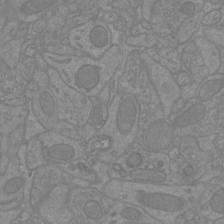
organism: Mouse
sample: Cortical neurons